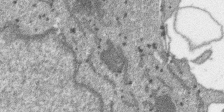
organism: Human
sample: Lung epithelial cells infected with SARS-CoV-2